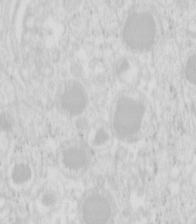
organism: Mouse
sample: Pancreas